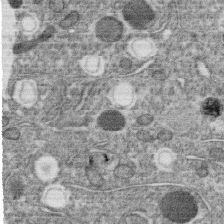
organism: C. elegans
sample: C. elegans oocyte; sperm cells